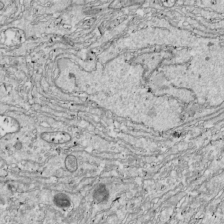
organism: Drosophila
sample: Cell division; meiosis; drosophila spermatocytes